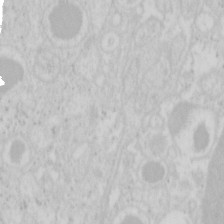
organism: Mouse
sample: Pancreas